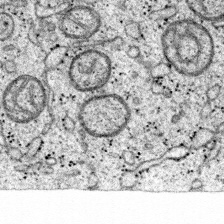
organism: Human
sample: HeLa cells